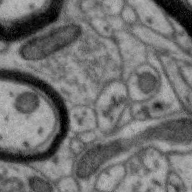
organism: Zebra finch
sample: Brain